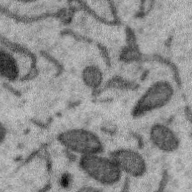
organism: Zebra finch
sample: Brain